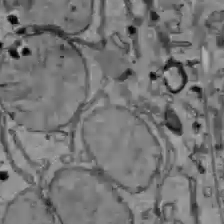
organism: C57BL Mouse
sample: Liver